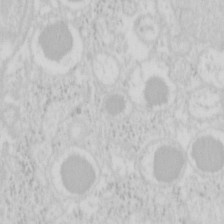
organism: Mouse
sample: Pancreas